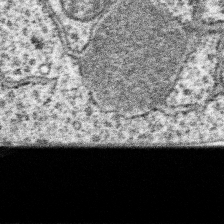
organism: Human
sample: HeLa cells